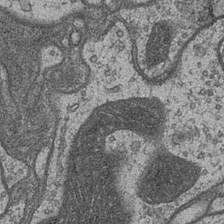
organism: Drosophila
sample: Optic medulla